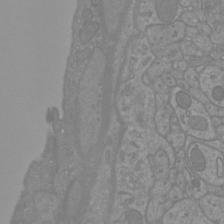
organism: Mouse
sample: Cortical neurons